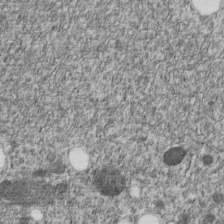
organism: C. elegans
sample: C. elegans embryo early stage